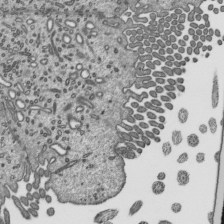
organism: Mouse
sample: Mouse epididymis efferent ductule cilia